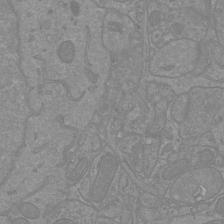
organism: Mouse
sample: Cortical neurons